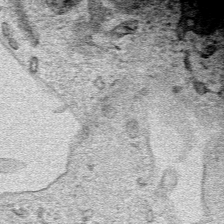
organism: Human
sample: Mitochondria in HCT116 cells